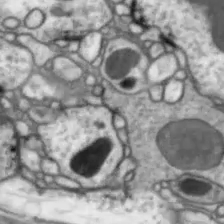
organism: Drosophila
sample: Optic lobe